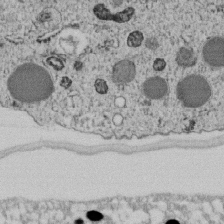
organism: C. elegans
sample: C. elegans embryo early stage